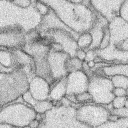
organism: Rabbit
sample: Retina